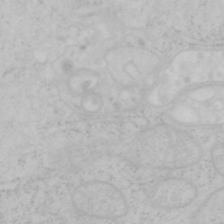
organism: Mouse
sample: OT-I killer T cells with ID8 ovarian cancer cells